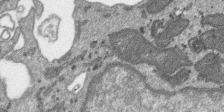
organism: Human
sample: Lung epithelial cells infected with SARS-CoV-2